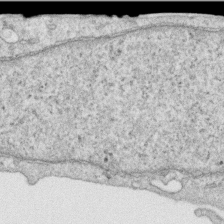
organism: Human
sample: Centriole in RPE cells